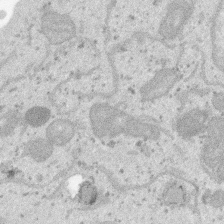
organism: Human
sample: Lung epithelial cells infected with SARS-CoV-2